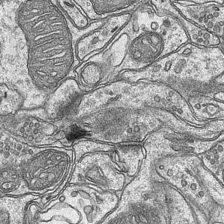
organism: Mouse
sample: CA1 Hippocampus